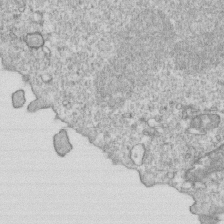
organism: Mouse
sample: Activated OT-1 CD8+ T cells